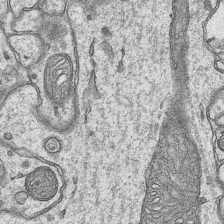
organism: Mouse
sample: CA1 Hippocampus